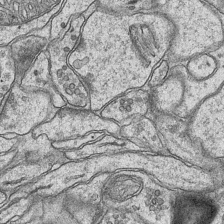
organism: Mouse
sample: CA1 Hippocampus